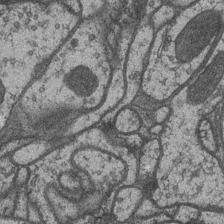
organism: Drosophila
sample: Optic medulla